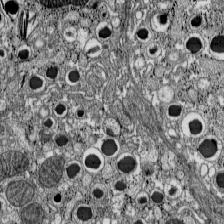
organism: C57BL Mouse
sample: Pancreatic islet